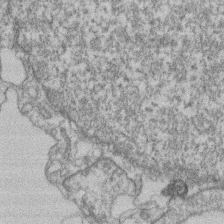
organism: Mouse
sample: T cell stromal cell synapse